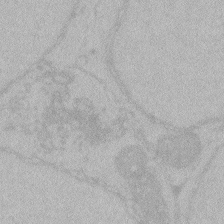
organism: Zebrafish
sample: Macrophage infected with Toxoplasma gondii